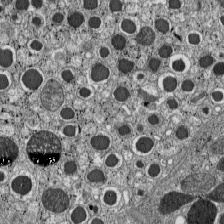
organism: C57BL Mouse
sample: Pancreatic islet